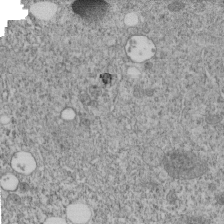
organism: C. elegans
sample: C. elegans embryo early stage